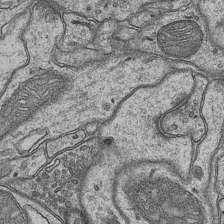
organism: Mouse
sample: CA1 Hippocampus